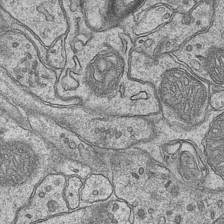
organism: Mouse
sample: CA1 Hippocampus